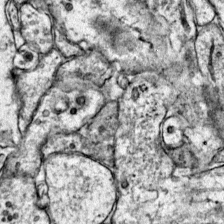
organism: Mouse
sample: Primary visual cortex